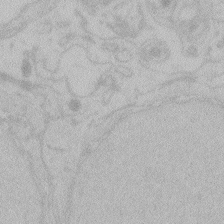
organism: Zebrafish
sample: Macrophage infected with Toxoplasma gondii